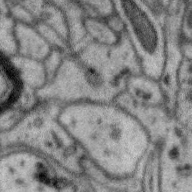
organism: Zebra finch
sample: Brain